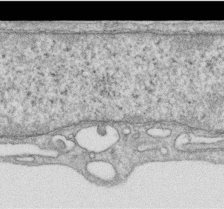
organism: Human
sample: Centriole in RPE cells